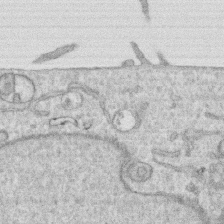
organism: Human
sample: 1205lu cells